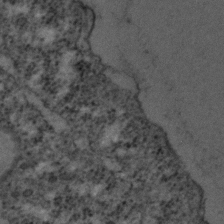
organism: C. elegans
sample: C. elegans embryo